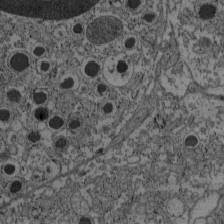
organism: C57BL Mouse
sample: Pancreatic islet